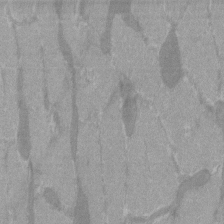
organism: C57BL Mouse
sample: Tibialis anterior muscle cell